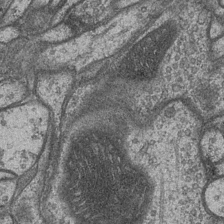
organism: Drosophila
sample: Optic medulla